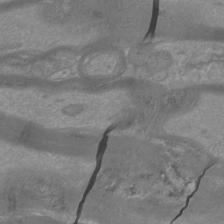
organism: Mouse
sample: Cortical neurons